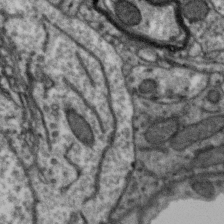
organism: Zebra finch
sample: Brain